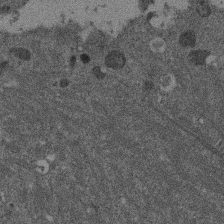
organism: Mouse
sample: Dividing mouse embryo 1 cell stage